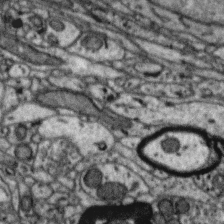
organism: Zebra finch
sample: Brain